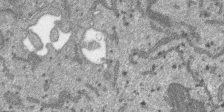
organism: Human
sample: Lung epithelial cells infected with SARS-CoV-2